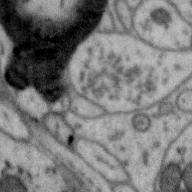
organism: Zebra finch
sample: Brain